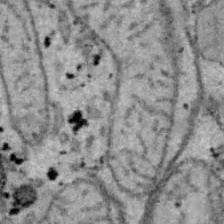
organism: Mouse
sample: Liver from an obese (ob/ob) mouse